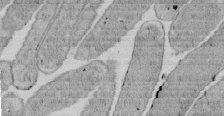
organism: E. coli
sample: Bacterial nucleoid